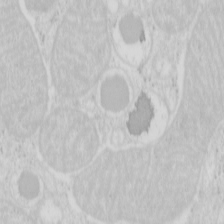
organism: Mouse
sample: Pancreas